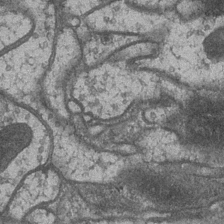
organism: Drosophila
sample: Optic medulla